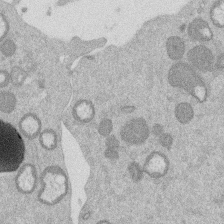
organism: Mouse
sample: Dividing mouse embryo 1 cell stage